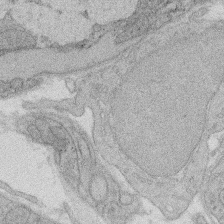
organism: Rat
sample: Salivary granule